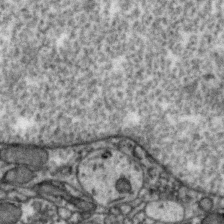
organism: Zebra finch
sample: Brain